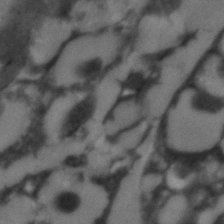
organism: C. elegans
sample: C. elegans embryo